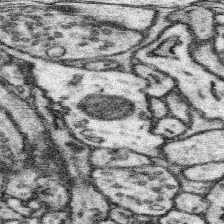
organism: Mouse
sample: Somatosensory cortex neuropil